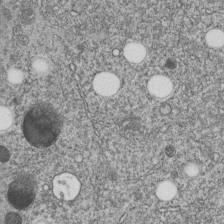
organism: C. elegans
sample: C. elegans embryo early stage